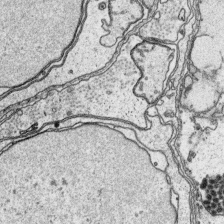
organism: Platynereis dumerilii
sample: Parapodia